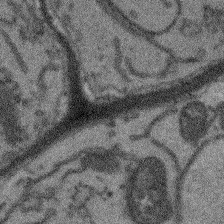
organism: Arabidopsis thaliana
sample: Root tip